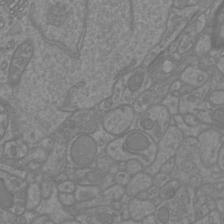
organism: Mouse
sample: Cortical neurons